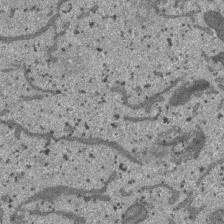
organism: Human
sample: Lung epithelial cells infected with SARS-CoV-2